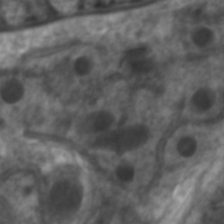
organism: C. elegans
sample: Pharynx